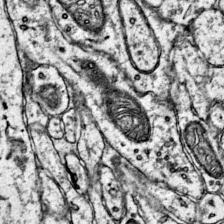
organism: Mouse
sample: Primary visual cortex